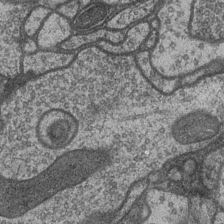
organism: Drosophila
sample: Optic medulla